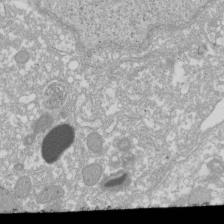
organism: Xenopus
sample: Cilia; centrioles in frog embryo cells